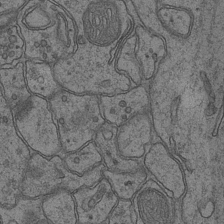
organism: Mouse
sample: CA1 Hippocampus